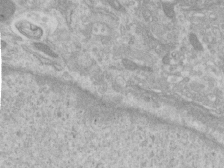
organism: Human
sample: Centriole in RPE cells